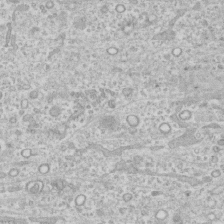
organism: Human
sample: CRL-1474